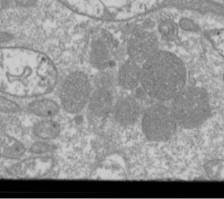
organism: Drosophila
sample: Cell division; meiosis; drosophila spermatocytes